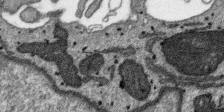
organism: Human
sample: Lung epithelial cells, uninfected (mock) control